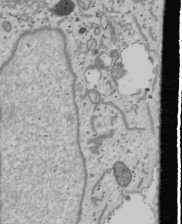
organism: Human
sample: Mitochondria in U2OS cells